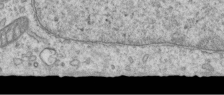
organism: Human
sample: Centriole in RPE cells